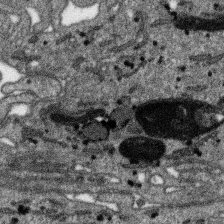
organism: Human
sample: Lung epithelial cells infected with SARS-CoV-2